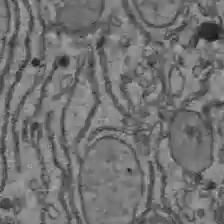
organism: C57BL Mouse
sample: Liver